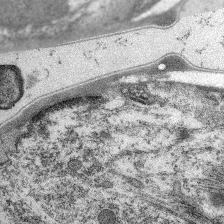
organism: C. elegans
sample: Pharynx